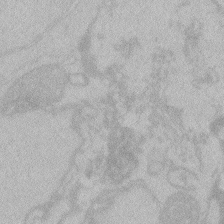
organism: Zebrafish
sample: Macrophage infected with Toxoplasma gondii